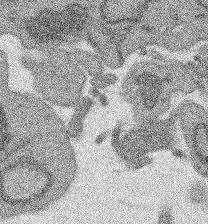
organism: Human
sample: HeLa cells